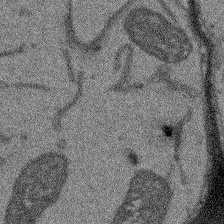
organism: Arabidopsis thaliana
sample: Root tip